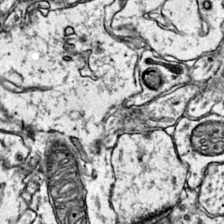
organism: Mouse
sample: Primary visual cortex